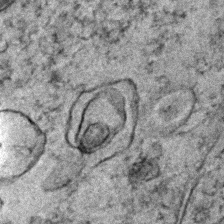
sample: Trachea